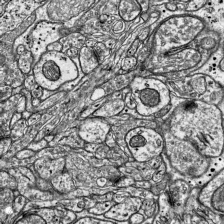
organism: Mouse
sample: Visual Cortex